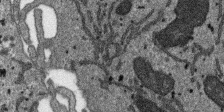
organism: Human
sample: Lung epithelial cells infected with SARS-CoV-2